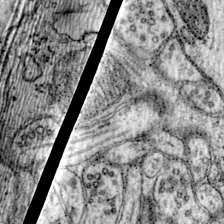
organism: Mouse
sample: Primary visual cortex